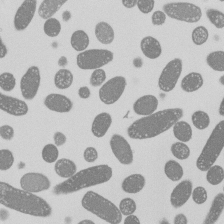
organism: E. coli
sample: Bacterial nucleoid